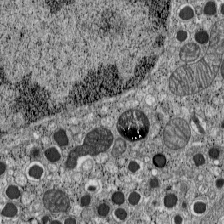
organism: C57BL Mouse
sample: Pancreatic islet